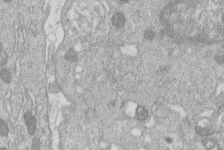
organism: Human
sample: Macrophage cells